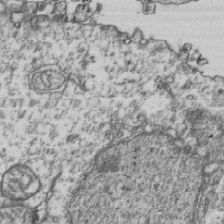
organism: Human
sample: Activated Jurkat CD4+ T cells